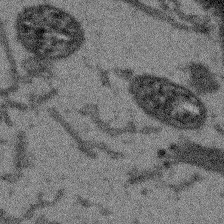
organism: Arabidopsis thaliana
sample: Root tip